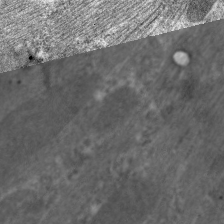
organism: C. elegans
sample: Pharynx